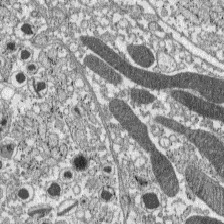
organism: C57BL Mouse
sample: Pancreatic islet